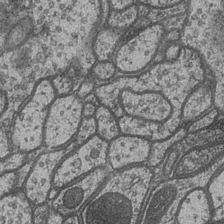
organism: Drosophila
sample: Optic medulla